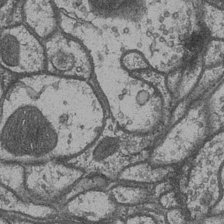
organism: Drosophila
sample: Optic medulla